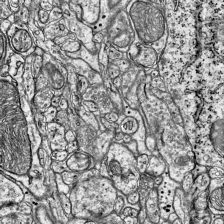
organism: Mouse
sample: Visual Cortex